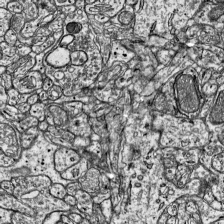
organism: Mouse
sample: Visual Cortex